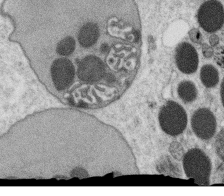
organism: C. elegans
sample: C. elegans oocyte; sperm cells